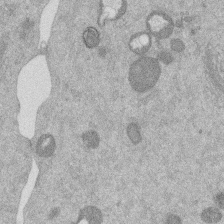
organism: Mouse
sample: Dividing mouse embryo 1 cell stage